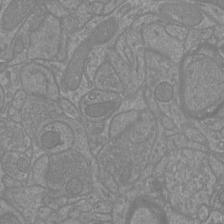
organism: Mouse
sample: Cortical neurons